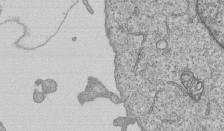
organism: Human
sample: MDA-MB-231 cells